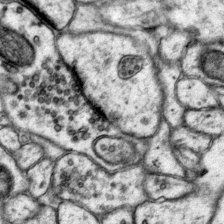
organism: Mouse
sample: Primary visual cortex